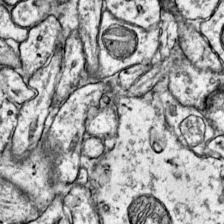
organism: Mouse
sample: Primary visual cortex